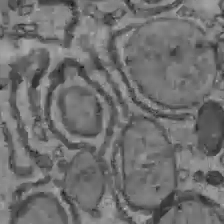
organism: C57BL Mouse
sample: Liver